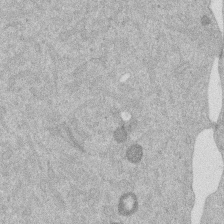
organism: Mouse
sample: Dividing mouse embryo 1 cell stage